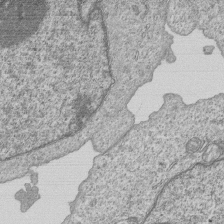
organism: Human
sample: MDA-MB-231 cells